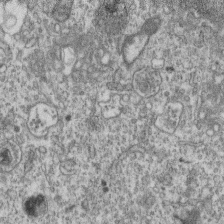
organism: Mouse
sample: Centriole in ependymal cells